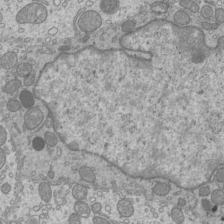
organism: Mouse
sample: Cilia; mouse epididymis